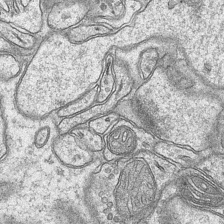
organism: Mouse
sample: CA1 Hippocampus